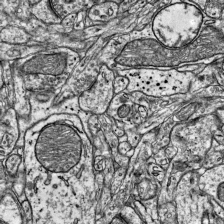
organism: Mouse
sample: Visual Cortex